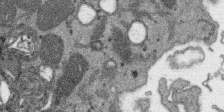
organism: Human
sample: Lung epithelial cells infected with SARS-CoV-2